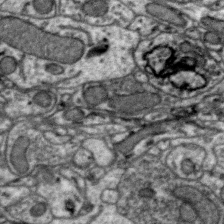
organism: Zebra finch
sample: Brain